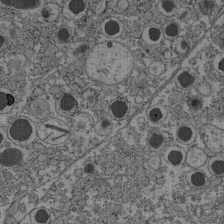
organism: C57BL Mouse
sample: Pancreatic islet